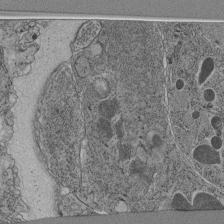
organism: C. elegans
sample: C. elegans pharynx